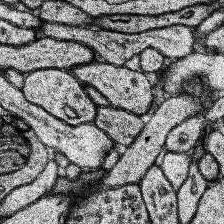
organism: Human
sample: Temporal Lobe